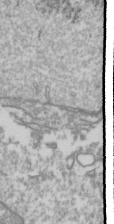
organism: Drosophila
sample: Cell division; meiosis; drosophila spermatocytes